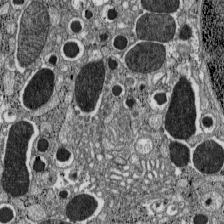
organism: C57BL Mouse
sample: Pancreatic islet